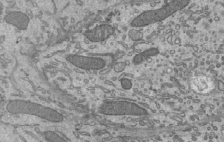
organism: Mouse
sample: Mouse epididymis efferent ductule cilia